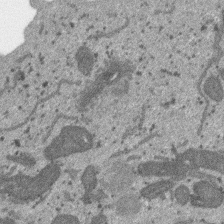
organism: Human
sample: Lung epithelial cells infected with SARS-CoV-2